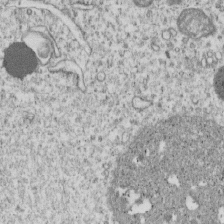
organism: Human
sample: MDA-MB-231 cells